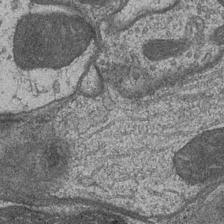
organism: Drosophila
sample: Optic medulla